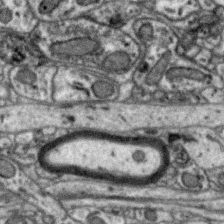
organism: Zebra finch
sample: Brain